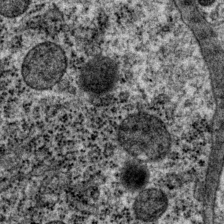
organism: P. pacificus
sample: Pharynx